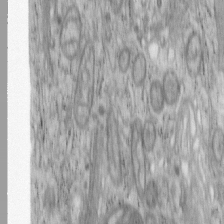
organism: Human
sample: HeLa cells